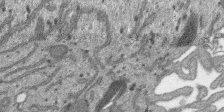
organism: Human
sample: Lung epithelial cells infected with SARS-CoV-2